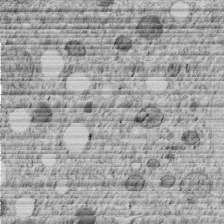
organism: C. elegans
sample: C. elegans embryo early stage